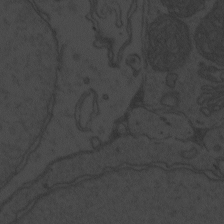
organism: Zebrafish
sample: Macrophage infected with Toxoplasma gondii